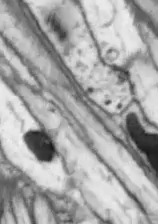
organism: Drosophila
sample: Optic lobe